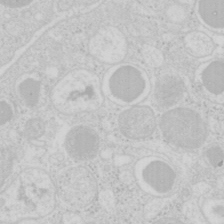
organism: Mouse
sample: Pancreas